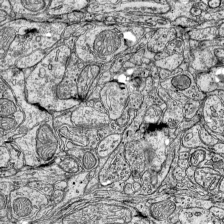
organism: Mouse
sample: Visual Cortex